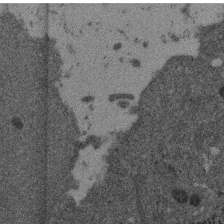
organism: Mouse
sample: Dividing mouse embryo 1 cell stage